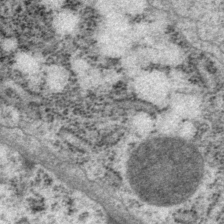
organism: P. pacificus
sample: Pharynx